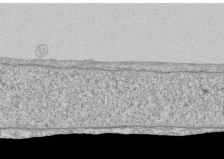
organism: Human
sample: CRL-1474